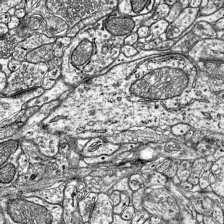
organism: Mouse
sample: Visual Cortex